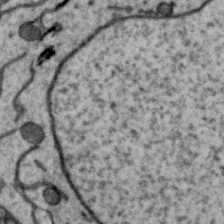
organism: Zebra finch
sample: Brain